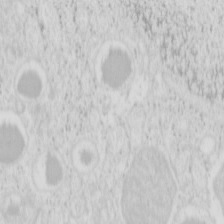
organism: Mouse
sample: Pancreas